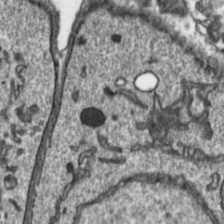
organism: Toxoplasma gondii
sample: Parasites in a vacuole inside a host cell